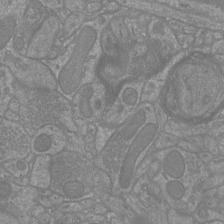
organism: Mouse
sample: Cortical neurons